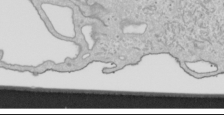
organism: Human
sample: Mitochondria in HCT116 cells